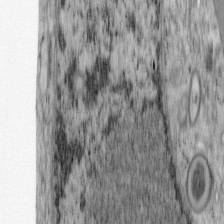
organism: Human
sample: HeLa cells